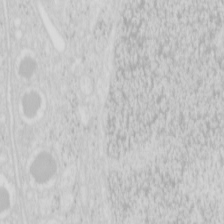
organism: Mouse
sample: Pancreas